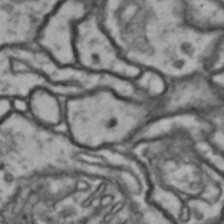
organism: Drosophila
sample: Brain